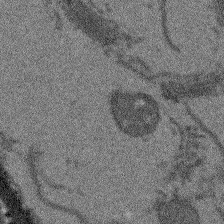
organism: Arabidopsis thaliana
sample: Root tip